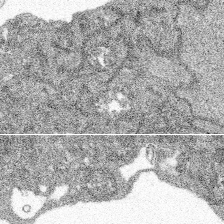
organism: Spongilla lacustris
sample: Multiple